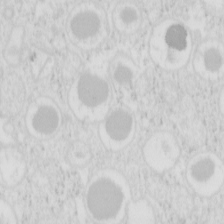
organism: Mouse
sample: Pancreas